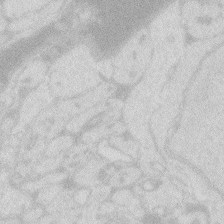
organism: Zebrafish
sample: Macrophage